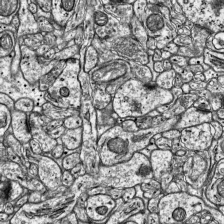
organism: Mouse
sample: Visual Cortex